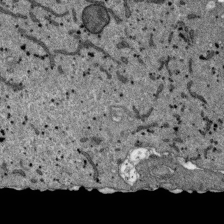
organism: Human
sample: Lung epithelial cells, uninfected (mock) control